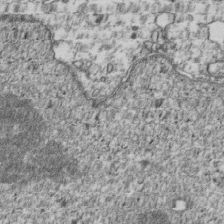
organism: Human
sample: Activated Jurkat CD4+ T cells